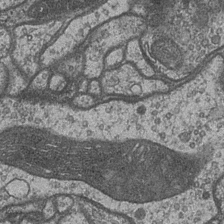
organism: Drosophila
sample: Optic medulla